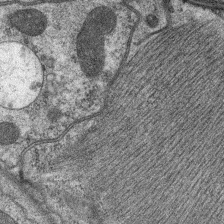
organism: C. elegans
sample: Pharynx